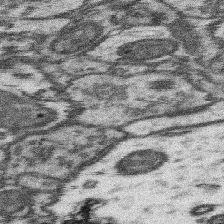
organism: Mouse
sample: Somatosensory cortex neuropil